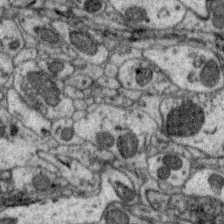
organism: Zebra finch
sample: Brain